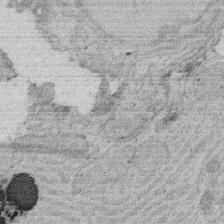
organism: Rat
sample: Salivary granule